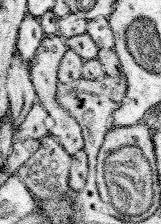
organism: Mouse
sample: Somatosensory cortex neuropil